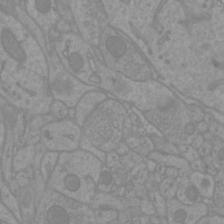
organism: Mouse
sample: Cortical neurons